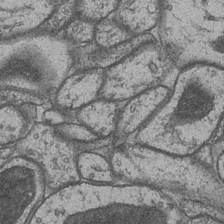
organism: Drosophila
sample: Optic medulla